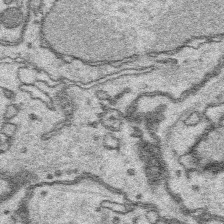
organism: Platynereis dumerilii